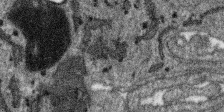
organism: Human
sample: Lung epithelial cells infected with SARS-CoV-2